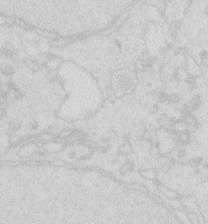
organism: Zebrafish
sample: Macrophage